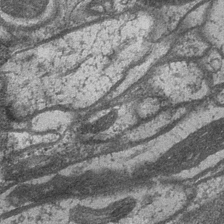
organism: Drosophila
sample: Optic medulla